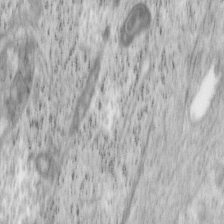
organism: Human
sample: HeLa cells